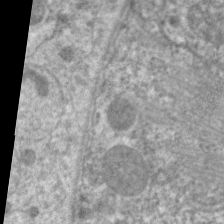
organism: C. elegans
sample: Pharynx